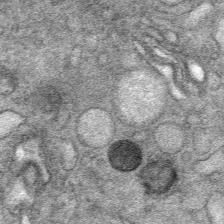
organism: Mouse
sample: Mouse Salivary gland